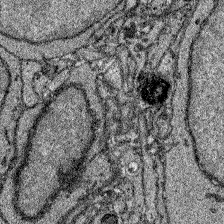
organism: Zebrafish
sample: Larval olfactory bulb